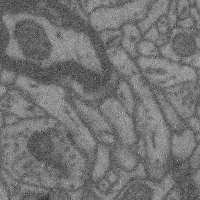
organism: Mouse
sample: Cerebral cortex